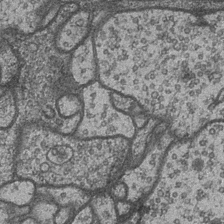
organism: Drosophila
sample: Optic medulla